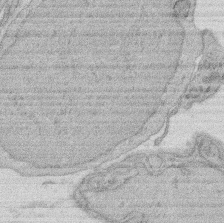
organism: Rat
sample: Salivary granule